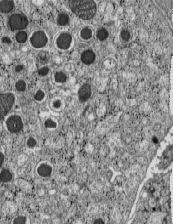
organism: C57BL Mouse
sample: Pancreatic islet